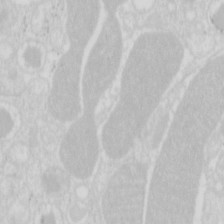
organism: Mouse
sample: Pancreas